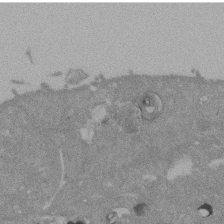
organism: Mouse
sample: ED-1 cell nuclei; centrioles